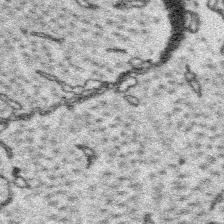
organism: Platynereis dumerilii